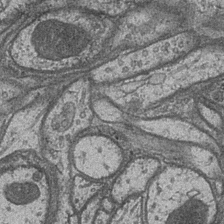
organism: Drosophila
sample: Optic medulla